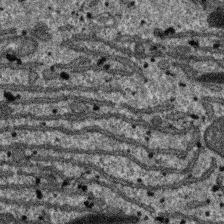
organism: Human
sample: Lung epithelial cells infected with SARS-CoV-2